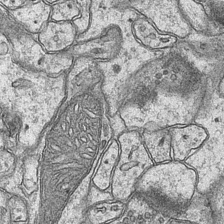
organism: Mouse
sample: CA1 Hippocampus